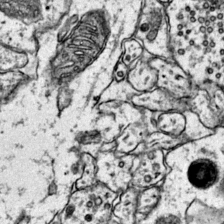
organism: Mouse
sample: Primary visual cortex